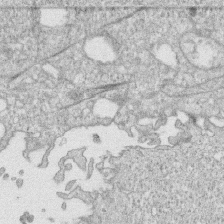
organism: Human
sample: HeLa cell HIV synapse